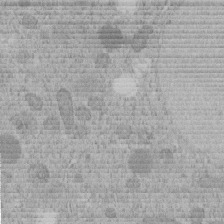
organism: C. elegans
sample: C. elegans embryo early stage